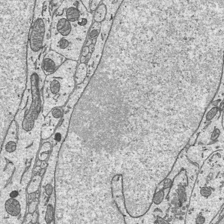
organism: Mouse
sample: Suprachiasmatic nucleus